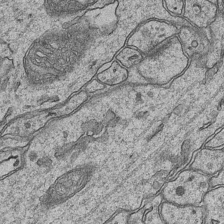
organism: Mouse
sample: CA1 Hippocampus